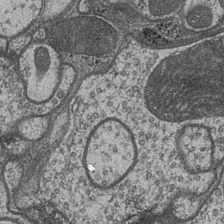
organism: Drosophila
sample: Optic medulla